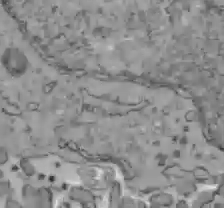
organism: C57BL Mouse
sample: Liver